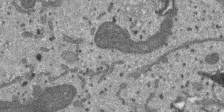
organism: Human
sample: Lung epithelial cells infected with SARS-CoV-2